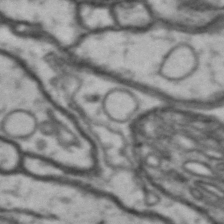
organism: Drosophila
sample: Brain